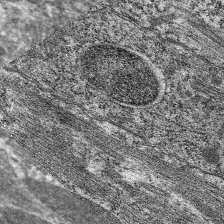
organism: C. elegans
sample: Pharynx